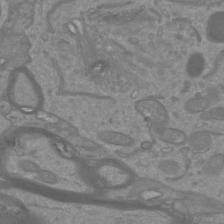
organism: Mouse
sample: Cortical neurons